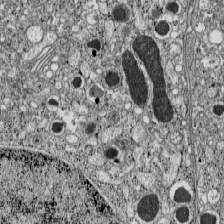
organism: C57BL Mouse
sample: Pancreatic islet